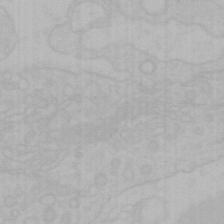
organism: Mouse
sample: Choroid plexus